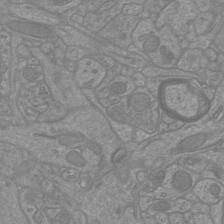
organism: Mouse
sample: Cortical neurons